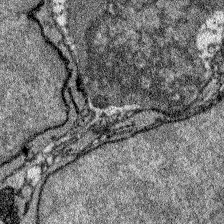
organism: Zebrafish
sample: Larval olfactory bulb